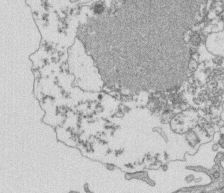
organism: Human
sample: HeLa cell HIV synapse